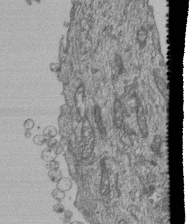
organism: Human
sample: Retinal organoid Rod and Cone cells